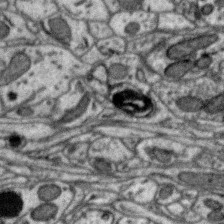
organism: Zebra finch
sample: Brain